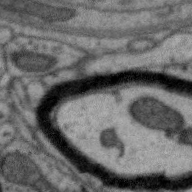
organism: Zebra finch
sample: Brain